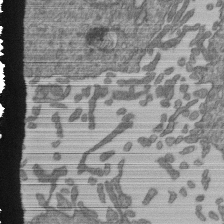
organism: Human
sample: Retinal organoid Rod and Cone cells